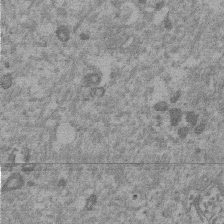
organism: Mouse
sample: Dividing mouse embryo 1 cell stage